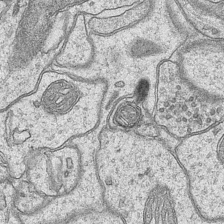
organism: Mouse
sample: CA1 Hippocampus